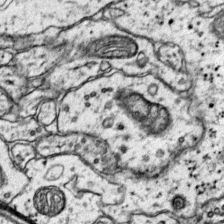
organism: Mouse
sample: Primary visual cortex